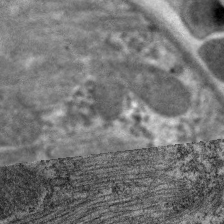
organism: C. elegans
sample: Pharynx